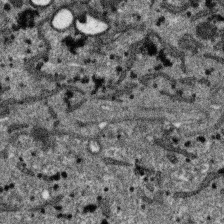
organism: Human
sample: Lung epithelial cells infected with SARS-CoV-2